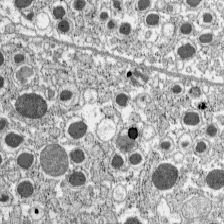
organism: C57BL Mouse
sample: Pancreatic islet